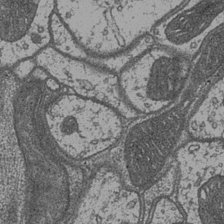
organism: Drosophila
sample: Optic medulla